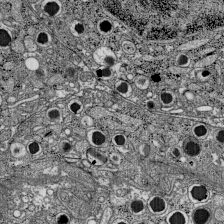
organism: C57BL Mouse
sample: Pancreatic islet